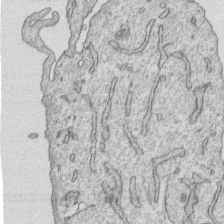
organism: Human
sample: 1205lu cells